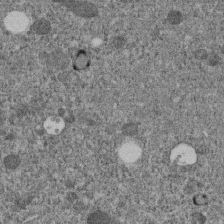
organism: C. elegans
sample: C. elegans embryo early stage